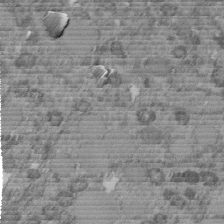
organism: C. elegans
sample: C. elegans embryo early stage